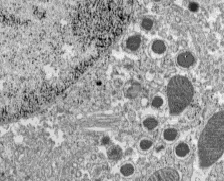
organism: C57BL Mouse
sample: Pancreatic islet